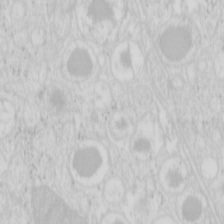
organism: Mouse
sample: Pancreas